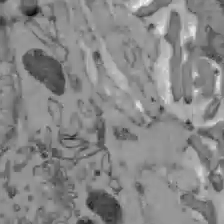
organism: C57BL Mouse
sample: Liver